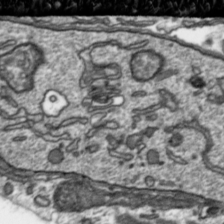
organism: Toxoplasma gondii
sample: Parasites in a vacuole inside a host cell